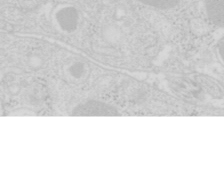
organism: Mouse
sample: Pancreas